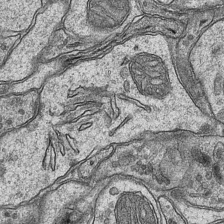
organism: Mouse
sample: CA1 Hippocampus